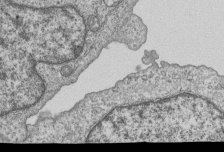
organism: Human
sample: MDA-MB-231 cells